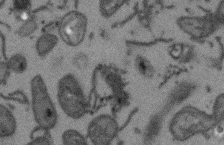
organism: Arabidopsis thaliana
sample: Root tip